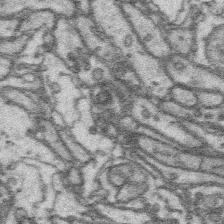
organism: Platynereis dumerilii